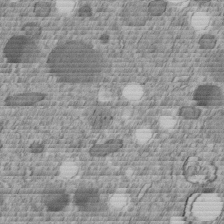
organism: C. elegans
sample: C. elegans embryo early stage